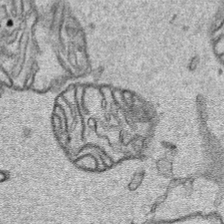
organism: Human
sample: Mitochondria in HCT116 cells